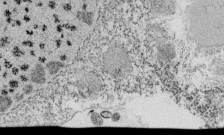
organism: Tetrahymena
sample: Cilia in tetrahymena